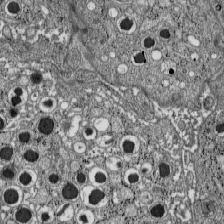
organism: C57BL Mouse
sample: Pancreatic islet